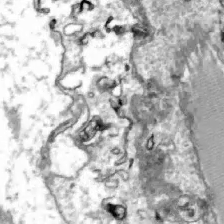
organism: Zebrafish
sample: Actinotrichia fibers